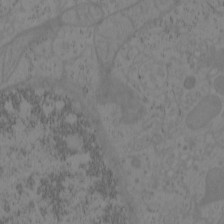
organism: Human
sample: HeLa cells